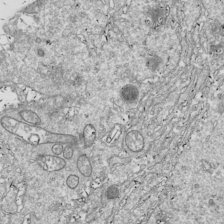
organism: Drosophila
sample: Cell division; meiosis; drosophila spermatocytes